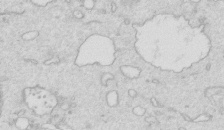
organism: Mouse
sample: Multiciliated cells